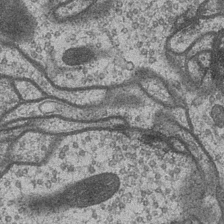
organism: Drosophila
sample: Optic medulla